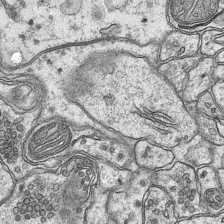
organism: Mouse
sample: CA1 Hippocampus